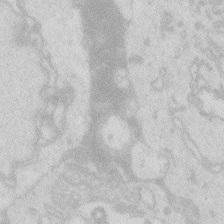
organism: Zebrafish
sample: Macrophage